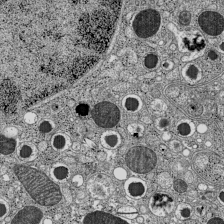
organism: C57BL Mouse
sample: Pancreatic islet